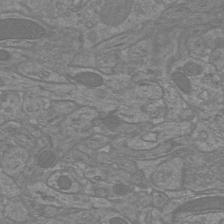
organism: Mouse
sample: Cortical neurons